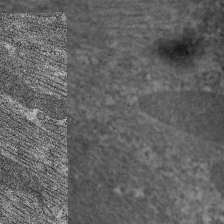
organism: C. elegans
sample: Pharynx